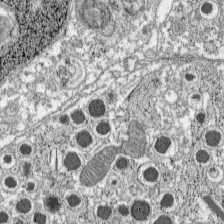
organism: C57BL Mouse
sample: Pancreatic islet